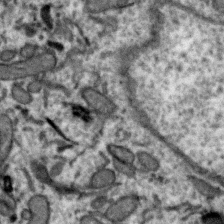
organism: Zebra finch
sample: Brain